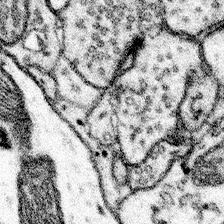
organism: Mouse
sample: Somatosensory cortex neuropil